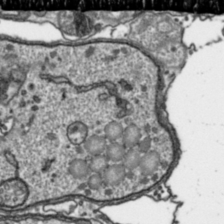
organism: Toxoplasma gondii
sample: Parasites in a vacuole inside a host cell